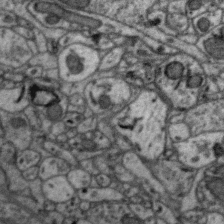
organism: Zebra finch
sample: Brain